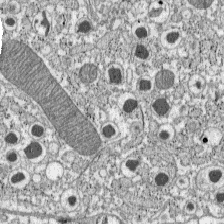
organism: C57BL Mouse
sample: Pancreatic islet